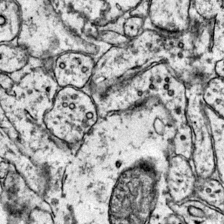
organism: Mouse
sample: Primary visual cortex